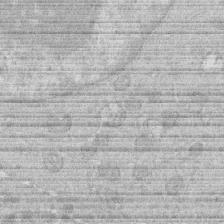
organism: Human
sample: Macrophage cells